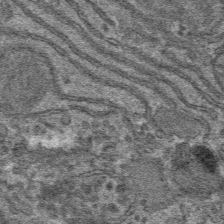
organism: Mouse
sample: Mouse hepatocytes